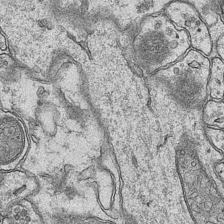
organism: Mouse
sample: CA1 Hippocampus